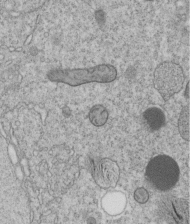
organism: C. elegans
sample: C. elegans embryo early stage